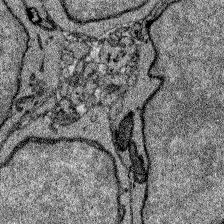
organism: Zebrafish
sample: Larval olfactory bulb